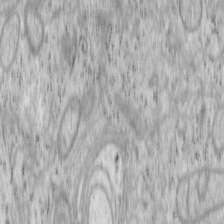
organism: Human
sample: HeLa cells